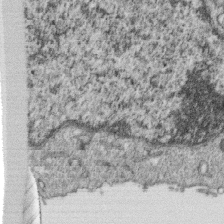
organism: African green monkey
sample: Vero E6 cells infected with SARS-CoV-2